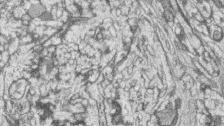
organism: Zebrafish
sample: synaptic ribbons in rod cells and cone cells